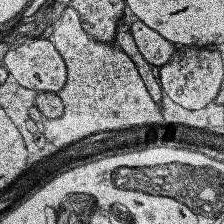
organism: Human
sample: Temporal Lobe